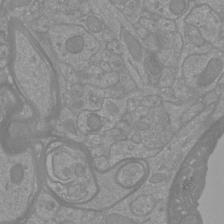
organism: Mouse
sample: Cortical neurons